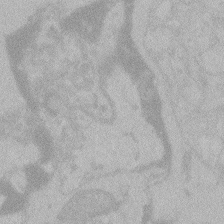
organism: Zebrafish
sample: Macrophage infected with Toxoplasma gondii